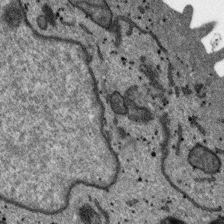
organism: Human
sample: Lung epithelial cells, uninfected (mock) control